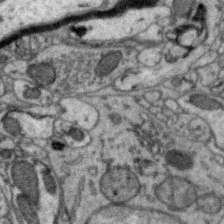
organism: Zebra finch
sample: Brain